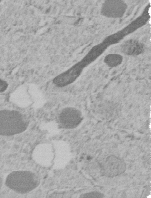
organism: C. elegans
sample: C. elegans embryo early stage